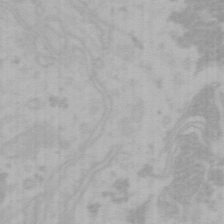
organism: Mouse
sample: Choroid plexus